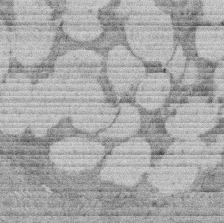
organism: Rat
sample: Salivary granule